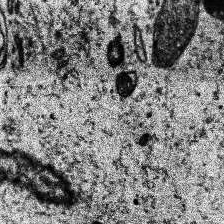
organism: Human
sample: Temporal Lobe